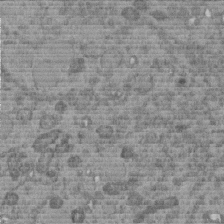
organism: C. elegans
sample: C. elegans embryo early stage